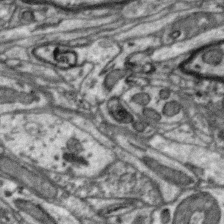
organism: Zebra finch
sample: Brain